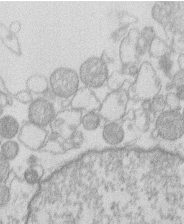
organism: Human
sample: Macrophage cells